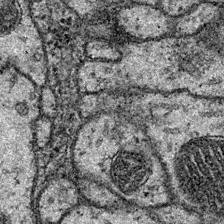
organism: Drosophila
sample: Ventral Nerve Cord